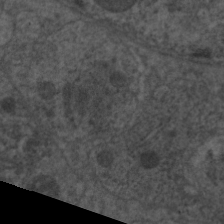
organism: C. elegans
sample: Pharynx